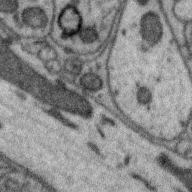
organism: Zebra finch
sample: Brain